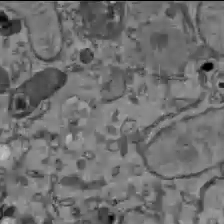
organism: C57BL Mouse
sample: Liver